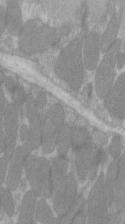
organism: C57BL Mouse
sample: Tibialis anterior muscle cell